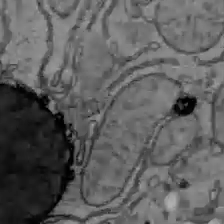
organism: C57BL Mouse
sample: Liver